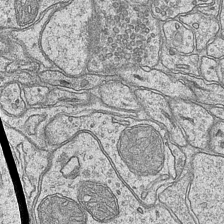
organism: Mouse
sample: CA1 Hippocampus